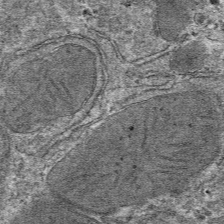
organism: Mouse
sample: Mouse hepatocytes